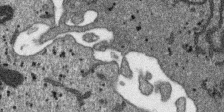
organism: Human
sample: Lung epithelial cells infected with SARS-CoV-2